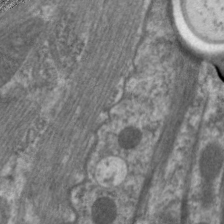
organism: C. elegans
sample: Pharynx